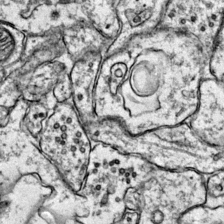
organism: Mouse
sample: Primary visual cortex